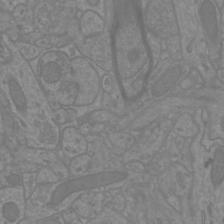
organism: Mouse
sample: Cortical neurons